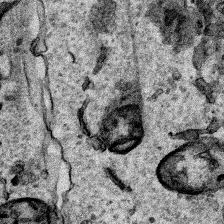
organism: Human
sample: Mitochondria in HCT116 cells